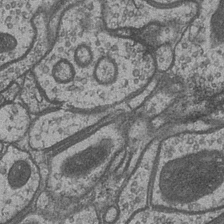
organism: Drosophila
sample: Optic medulla